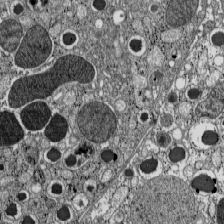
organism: C57BL Mouse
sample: Pancreatic islet